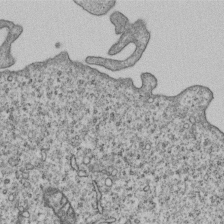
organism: Human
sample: MDA-MB-231 cells